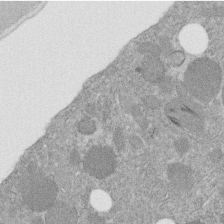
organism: C. elegans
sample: C. elegans embryo early stage